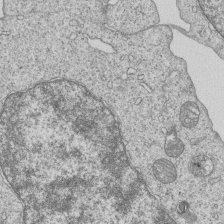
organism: Human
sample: MDA-MB-231 cells